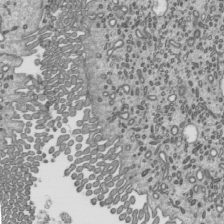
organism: Mouse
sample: Mouse epididymis efferent ductule cilia